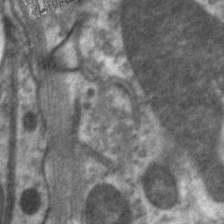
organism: C. elegans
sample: Pharynx